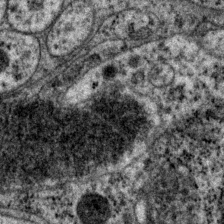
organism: P. pacificus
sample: Pharynx